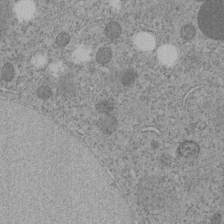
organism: C. elegans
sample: C. elegans embryo early stage